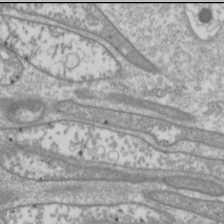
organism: Drosophila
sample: Cell division; meiosis; drosophila spermatocytes